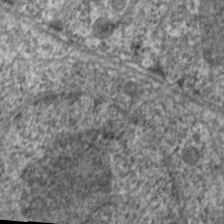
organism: C. elegans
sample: Pharynx